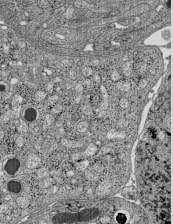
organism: C57BL Mouse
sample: Pancreatic islet